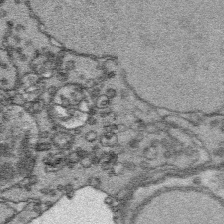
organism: Platynereis dumerilii